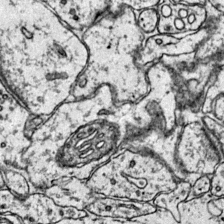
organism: Mouse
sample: Primary visual cortex